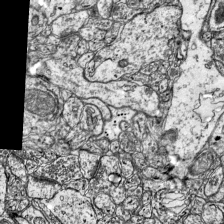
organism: Mouse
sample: Visual Cortex